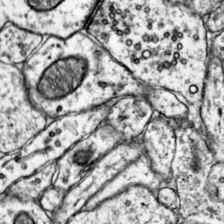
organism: Mouse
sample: Primary visual cortex